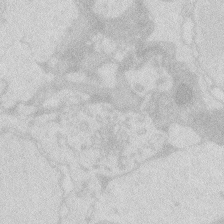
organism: Zebrafish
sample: Macrophage